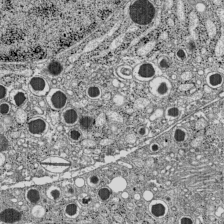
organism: C57BL Mouse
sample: Pancreatic islet